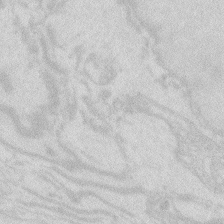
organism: Zebrafish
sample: Macrophage